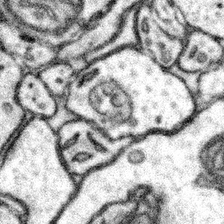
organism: Mouse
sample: Somatosensory cortex neuropil